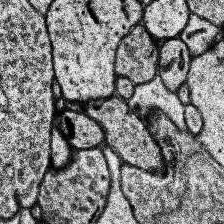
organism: Human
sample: Temporal Lobe